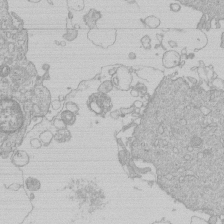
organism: Human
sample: Macrophage cells